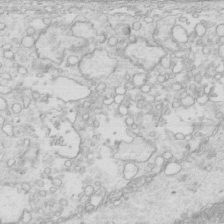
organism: Mouse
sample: Multiciliated cells